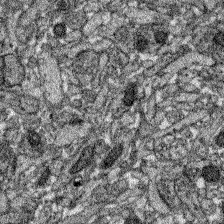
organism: Zebrafish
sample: Larval olfactory bulb